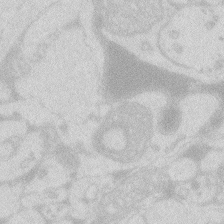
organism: Zebrafish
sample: Macrophage